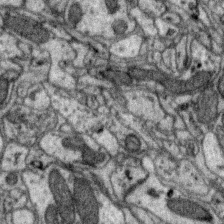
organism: Zebra finch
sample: Brain